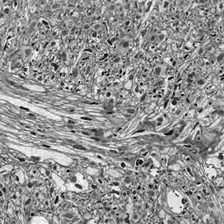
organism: Drosophila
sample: Optic lobe